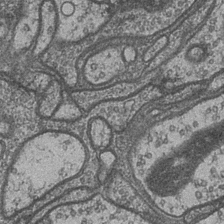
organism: Drosophila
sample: Optic medulla